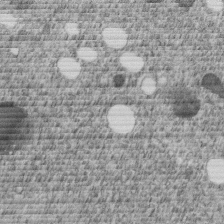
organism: C. elegans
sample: C. elegans embryo early stage